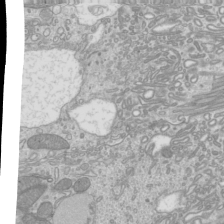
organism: Mouse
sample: Cilia; mouse epididymis